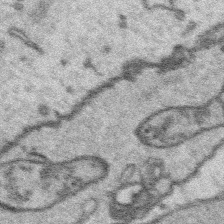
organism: Platynereis dumerilii